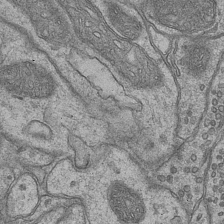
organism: Mouse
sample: CA1 Hippocampus